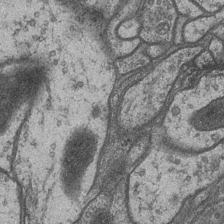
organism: Drosophila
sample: Optic medulla